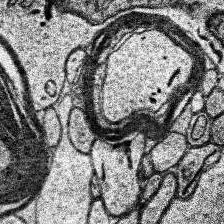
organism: Human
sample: Temporal Lobe